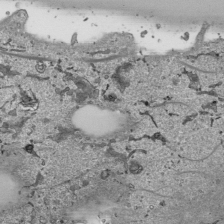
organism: Human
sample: Mitochondria in HCT116 cells